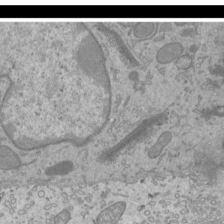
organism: Mouse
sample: Cilia; mouse epididymis